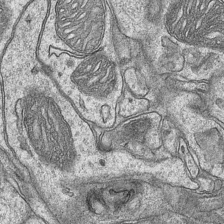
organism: Mouse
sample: CA1 Hippocampus